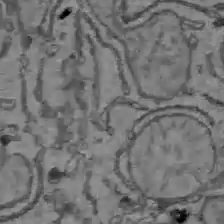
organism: C57BL Mouse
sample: Liver